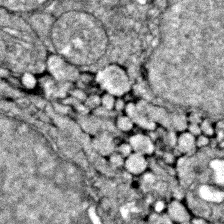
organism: Zebrafish